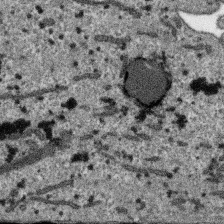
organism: Human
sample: Lung epithelial cells infected with SARS-CoV-2